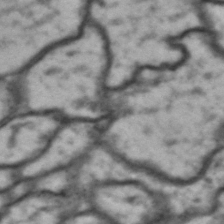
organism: Drosophila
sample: Brain